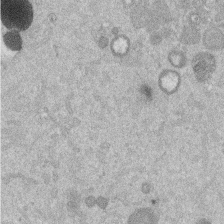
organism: Mouse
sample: Dividing mouse embryo 1 cell stage